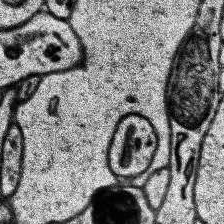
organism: Human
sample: Temporal Lobe